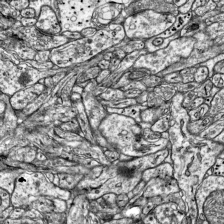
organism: Mouse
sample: Visual Cortex